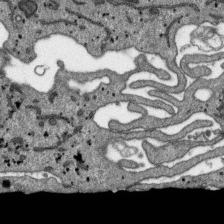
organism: Human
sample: Lung epithelial cells, uninfected (mock) control